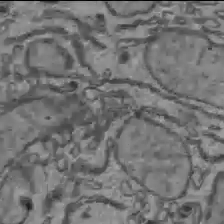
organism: C57BL Mouse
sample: Liver